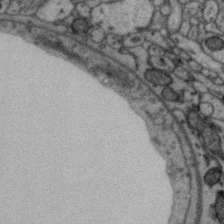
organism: Zebra finch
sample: Brain